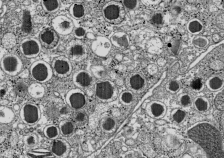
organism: C57BL Mouse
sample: Pancreatic islet